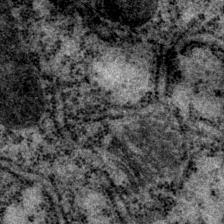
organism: P. pacificus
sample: Pharynx